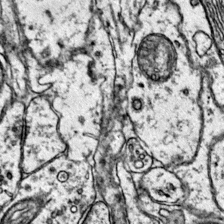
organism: Mouse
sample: Primary visual cortex